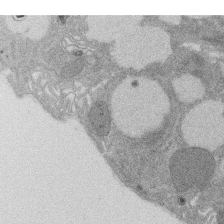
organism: Rat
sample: Salivary granule